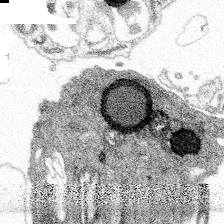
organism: Spongilla lacustris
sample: Multiple